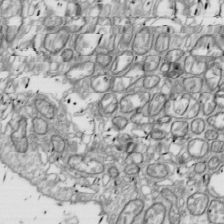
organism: Drosophila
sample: Cell division; meiosis; drosophila spermatocytes